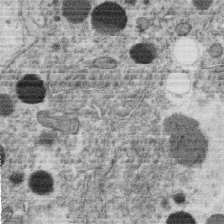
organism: C. elegans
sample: C. elegans oocyte; sperm cells